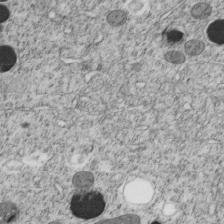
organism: C. elegans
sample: C. elegans embryo early stage